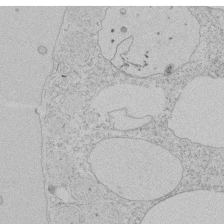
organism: Tetrahymena